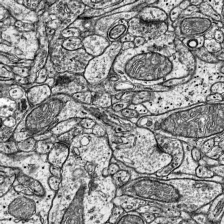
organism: Mouse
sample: Visual Cortex